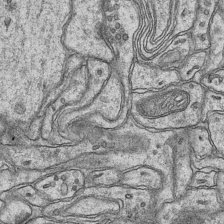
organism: Mouse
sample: CA1 Hippocampus